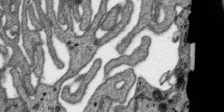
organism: Human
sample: Lung epithelial cells, uninfected (mock) control